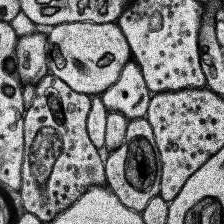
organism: Human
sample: Temporal Lobe